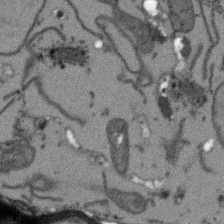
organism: Arabidopsis thaliana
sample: Root tip